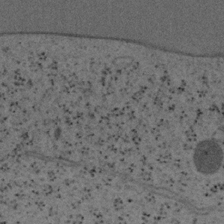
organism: Human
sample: HeLa cells